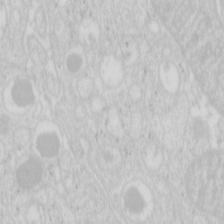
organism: Mouse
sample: Pancreas